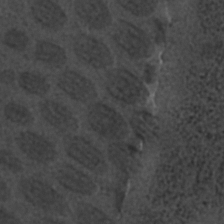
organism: C. elegans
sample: C. elegans embryo